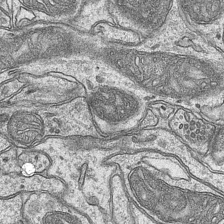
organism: Mouse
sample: CA1 Hippocampus